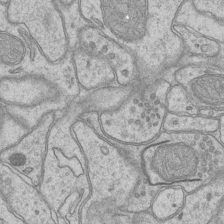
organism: Mouse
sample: CA1 Hippocampus